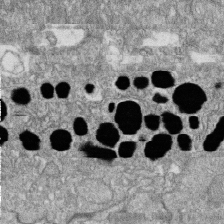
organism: Zebrafish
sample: Cilia; retinal pigment epithelium